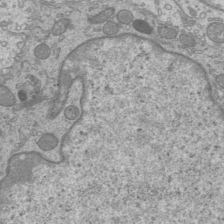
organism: Mouse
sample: Cilia; mouse epididymis